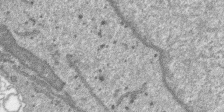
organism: Human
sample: Lung epithelial cells infected with SARS-CoV-2